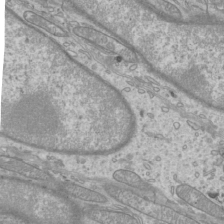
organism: Mouse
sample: Cilia; mouse epididymis